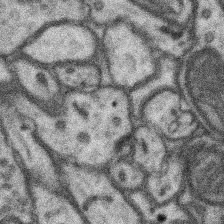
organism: Mouse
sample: Somatosensory cortex neuropil